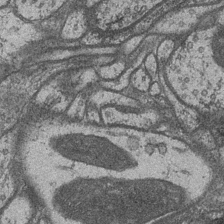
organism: Drosophila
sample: Optic medulla